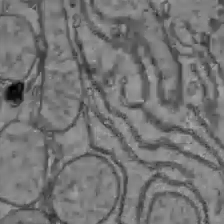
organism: C57BL Mouse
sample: Liver